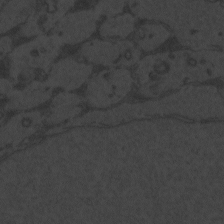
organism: Zebrafish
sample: Macrophage infected with Toxoplasma gondii